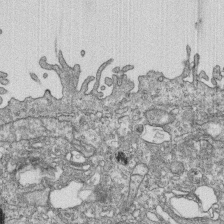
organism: Human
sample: HeLa cell HIV synapse